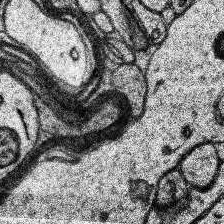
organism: Human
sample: Temporal Lobe